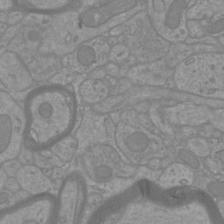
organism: Mouse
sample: Cortical neurons